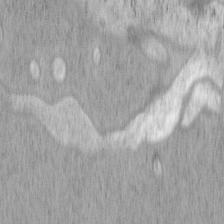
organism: Human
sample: HeLa cells